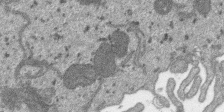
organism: Human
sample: Lung epithelial cells infected with SARS-CoV-2